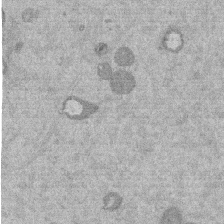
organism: Mouse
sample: Dividing mouse embryo 1 cell stage